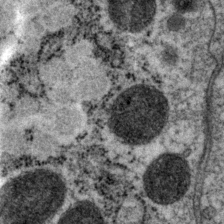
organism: P. pacificus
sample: Pharynx